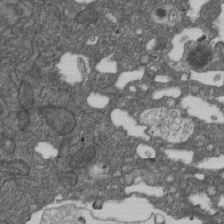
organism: Drosophila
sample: Nephrocyte